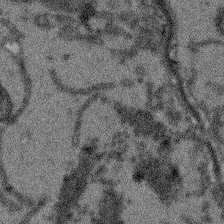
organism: Arabidopsis thaliana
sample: Root tip